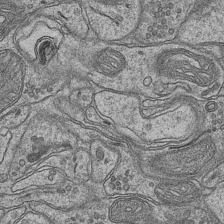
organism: Mouse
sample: CA1 Hippocampus